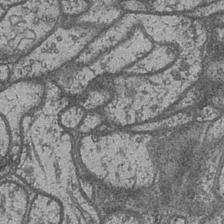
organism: Drosophila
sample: Optic medulla